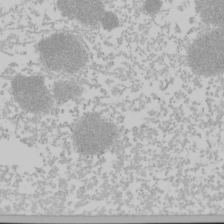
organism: Mouse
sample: Cancer cell death in ED-1 cells